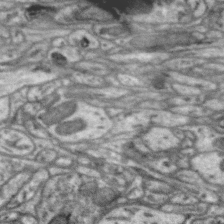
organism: Zebra finch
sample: Brain